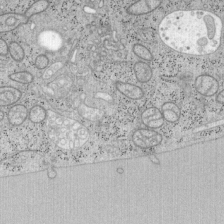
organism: Mouse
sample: OT-I killer T cells with ID8 ovarian cancer cells